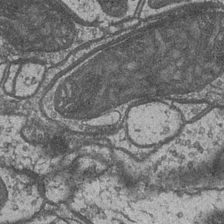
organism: Drosophila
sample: Optic medulla